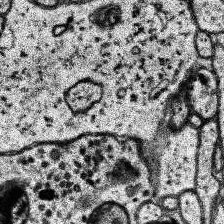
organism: Human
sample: Temporal Lobe